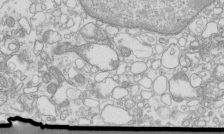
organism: Mouse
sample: Macrophages